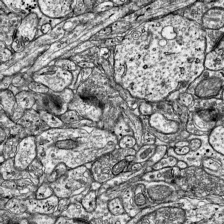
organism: Mouse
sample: Visual Cortex